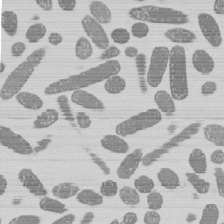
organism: E. coli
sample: Bacterial nucleoid